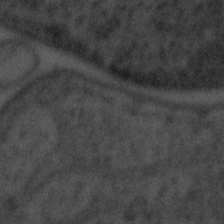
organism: Tuwongella immobilis